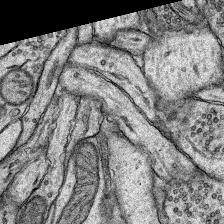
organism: Rat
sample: Hippocampus